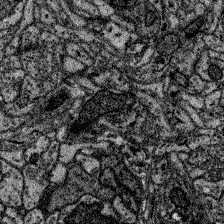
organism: Zebrafish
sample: Larval olfactory bulb